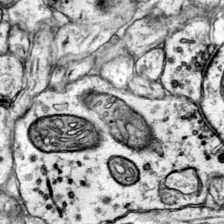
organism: Mouse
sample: Primary visual cortex